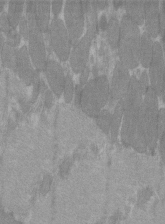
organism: C57BL Mouse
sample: Tibialis anterior muscle cell